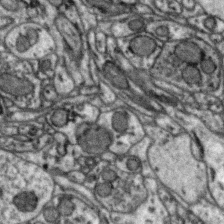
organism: Zebra finch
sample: Brain